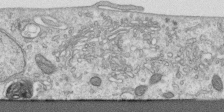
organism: Human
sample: Centriole in RPE cells